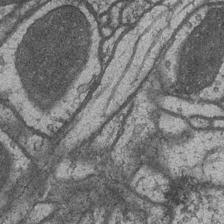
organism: Drosophila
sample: Optic medulla